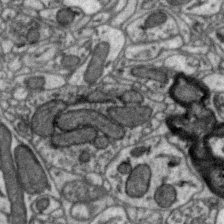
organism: Zebra finch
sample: Brain